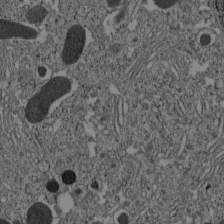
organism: C57BL Mouse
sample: Pancreatic islet